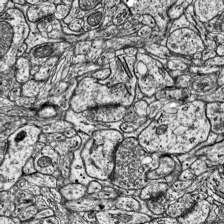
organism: Mouse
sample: Visual Cortex